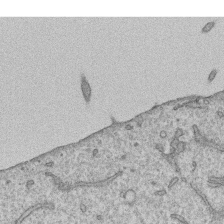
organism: Human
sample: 1205lu cells